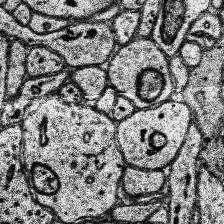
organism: Human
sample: Temporal Lobe